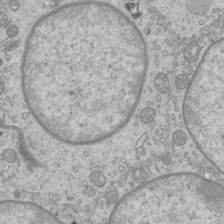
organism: Mouse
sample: Cilia; mouse epididymis